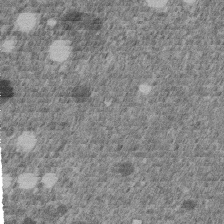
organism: C. elegans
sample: C. elegans embryo early stage